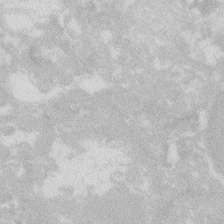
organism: Zebrafish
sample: Macrophage